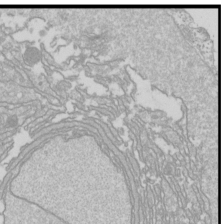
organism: Drosophila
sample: Cell division; meiosis; drosophila spermatocytes